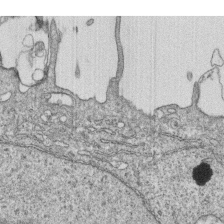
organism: Human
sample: HeLa cell HIV synapse